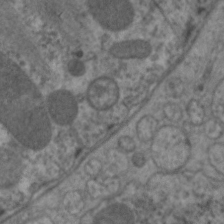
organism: C. elegans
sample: Pharynx